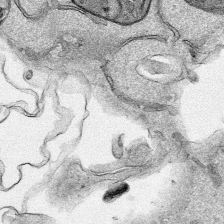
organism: Human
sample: Mitochondria in HCT116 cells